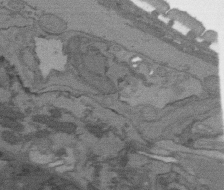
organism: C. elegans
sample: AFD neurons C. elegans